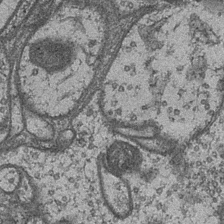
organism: Drosophila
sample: Optic medulla